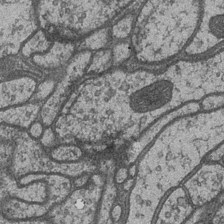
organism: Drosophila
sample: Optic medulla